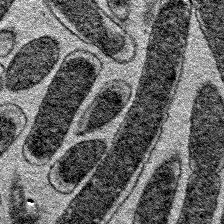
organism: E. coli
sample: E. Coli Bacteria